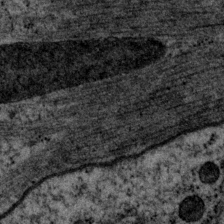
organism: P. pacificus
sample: Pharynx